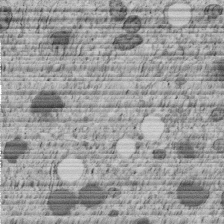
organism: C. elegans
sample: C. elegans embryo early stage